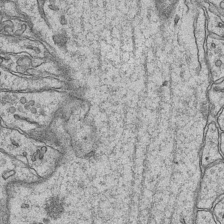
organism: Mouse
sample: CA1 Hippocampus